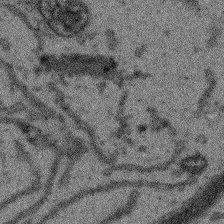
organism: Arabidopsis thaliana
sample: Root tip